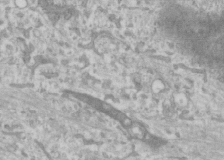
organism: Human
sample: Cilia; basal body in RPE cells